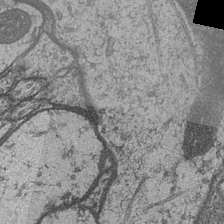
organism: Drosophila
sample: Optic medulla